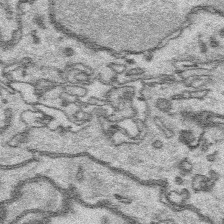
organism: Platynereis dumerilii